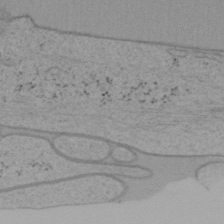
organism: Human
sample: HeLa cells